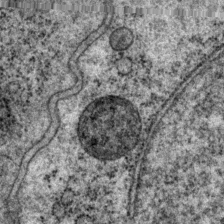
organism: P. pacificus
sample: Pharynx